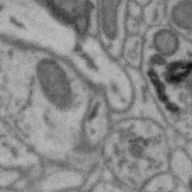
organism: Zebra finch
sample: Brain